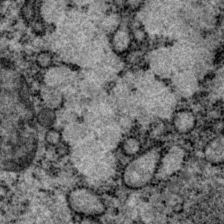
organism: P. pacificus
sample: Pharynx